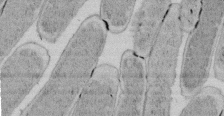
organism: E. coli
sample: Bacterial nucleoid